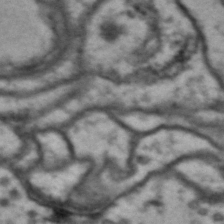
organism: Drosophila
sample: Brain